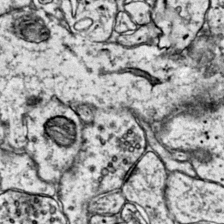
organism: Mouse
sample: Primary visual cortex